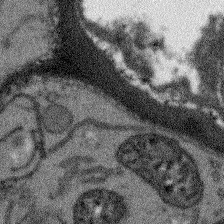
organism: Arabidopsis thaliana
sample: Root tip